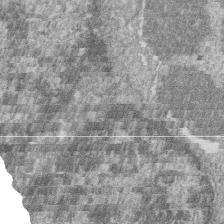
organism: Zebrafish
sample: Cilia; retinal pigment epithelium